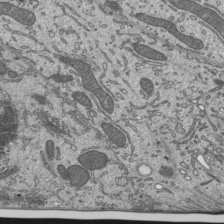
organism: Mouse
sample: Mouse epididymis efferent ductule cilia